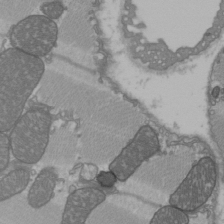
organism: C57BL Mouse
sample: Heart